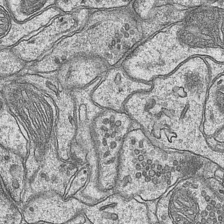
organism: Mouse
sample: CA1 Hippocampus